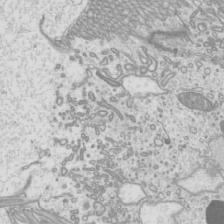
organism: Mouse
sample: Cilia; mouse epididymis